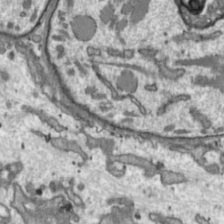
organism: Toxoplasma gondii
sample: Parasites in a vacuole inside a host cell